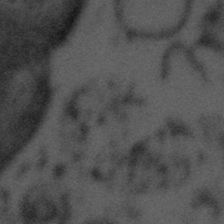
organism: Tuwongella immobilis